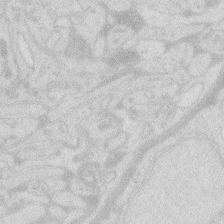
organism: Zebrafish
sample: Macrophage